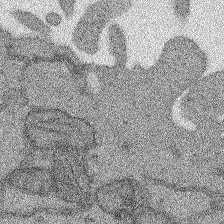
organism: Human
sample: HeLa cells